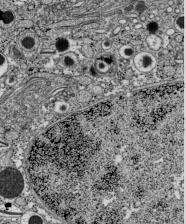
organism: C57BL Mouse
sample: Pancreatic islet